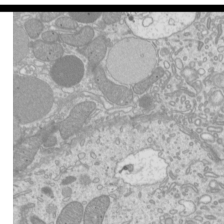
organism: Mouse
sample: Cilia; mouse epididymis